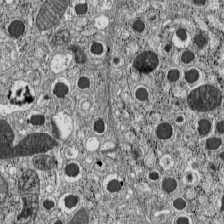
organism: C57BL Mouse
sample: Pancreatic islet